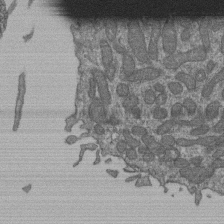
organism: Human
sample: Retinal organoid Rod and Cone cells